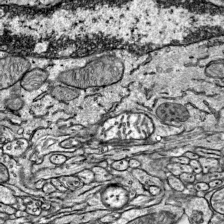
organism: Mouse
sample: Visual Cortex